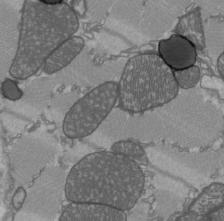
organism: C57BL Mouse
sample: Heart